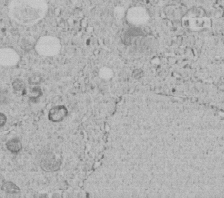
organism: C. elegans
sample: C. elegans embryo early stage